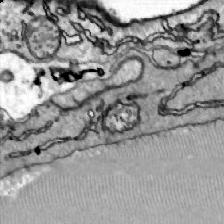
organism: Zebrafish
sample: Actinotrichia fibers